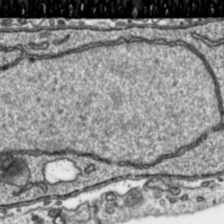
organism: Toxoplasma gondii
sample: Parasites in a vacuole inside a host cell